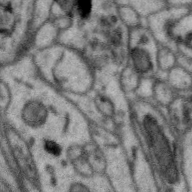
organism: Zebra finch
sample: Brain